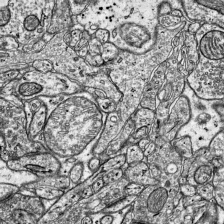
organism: Mouse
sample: Visual Cortex